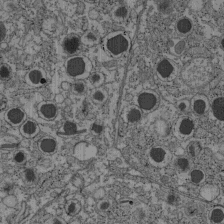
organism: C57BL Mouse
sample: Pancreatic islet